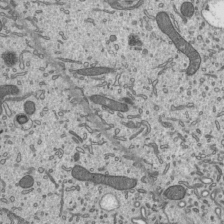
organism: Mouse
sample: Mouse epididymis efferent ductule cilia